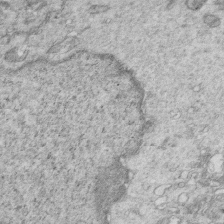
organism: Mouse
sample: Multiciliated cells